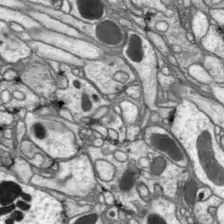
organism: Drosophila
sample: Optic lobe